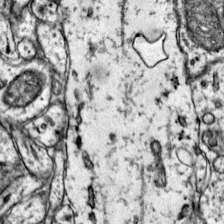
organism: Mouse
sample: Primary visual cortex